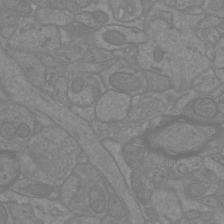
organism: Mouse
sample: Cortical neurons